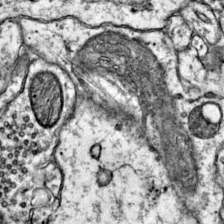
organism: Mouse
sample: Primary visual cortex